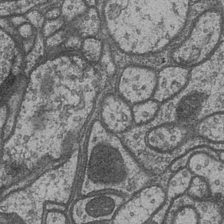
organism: Drosophila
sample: Optic medulla